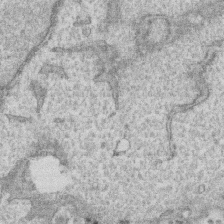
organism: Human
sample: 1205lu cells